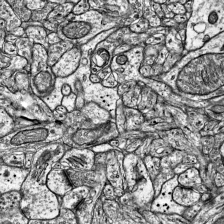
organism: Mouse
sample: Visual Cortex